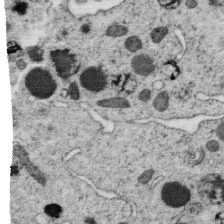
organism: C. elegans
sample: C. elegans oocyte; sperm cells